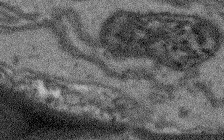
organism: Arabidopsis thaliana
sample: Root tip